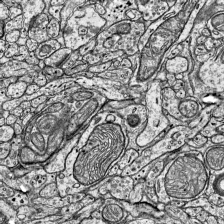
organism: Mouse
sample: Visual Cortex